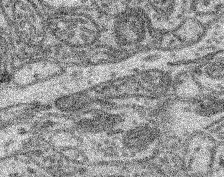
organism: Mouse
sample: Retina